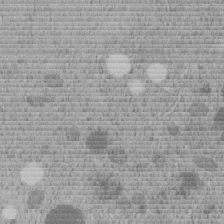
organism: C. elegans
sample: C. elegans embryo early stage